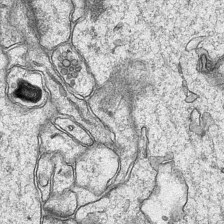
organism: Mouse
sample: CA1 Hippocampus